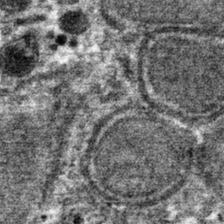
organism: Mouse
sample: Mouse hepatocytes